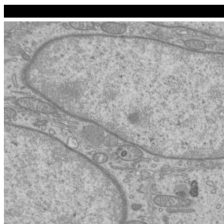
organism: Mouse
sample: Cilia; mouse epididymis